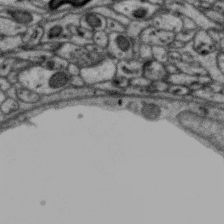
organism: Zebra finch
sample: Brain